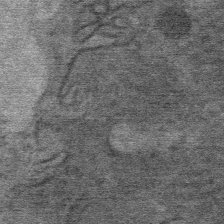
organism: Mouse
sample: Mouse Salivary gland